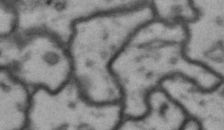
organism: Drosophila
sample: Brain